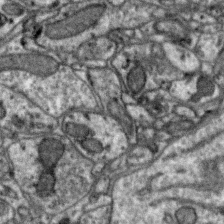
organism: Zebra finch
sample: Brain